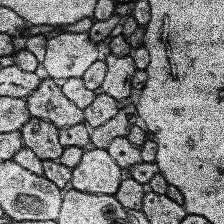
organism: Human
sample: Temporal Lobe